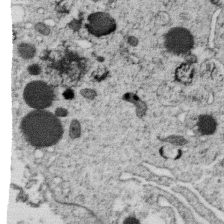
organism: C. elegans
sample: C. elegans oocyte; sperm cells